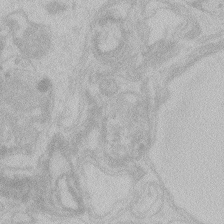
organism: Zebrafish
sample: Macrophage infected with Toxoplasma gondii